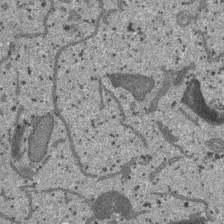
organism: Human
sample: Lung epithelial cells infected with SARS-CoV-2